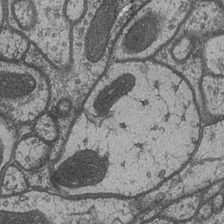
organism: Drosophila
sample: Optic medulla